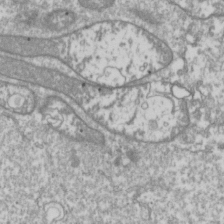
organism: Drosophila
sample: Cell division; meiosis; drosophila spermatocytes